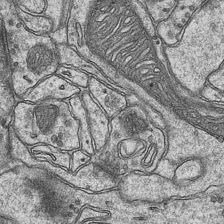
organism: Mouse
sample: CA1 Hippocampus